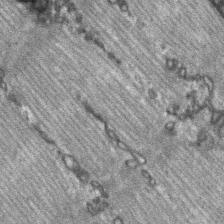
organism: C57BL Mouse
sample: Soleus